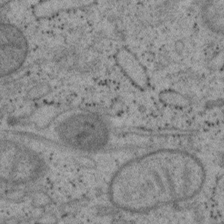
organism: Human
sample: HeLa cells